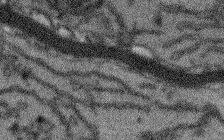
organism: Arabidopsis thaliana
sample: Root tip